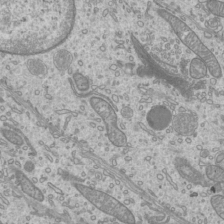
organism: Mouse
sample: Cilia; mouse epididymis